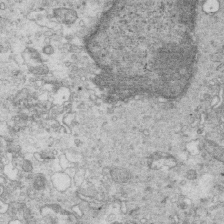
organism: Mouse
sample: Multiciliated cells